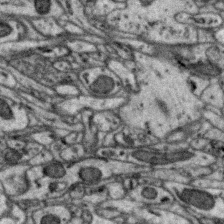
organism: Zebra finch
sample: Brain